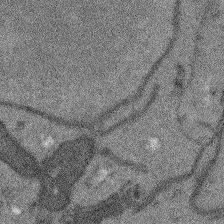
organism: Arabidopsis thaliana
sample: Root tip